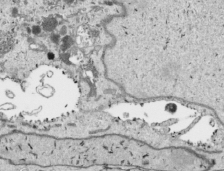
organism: Human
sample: Mitochondria in HCT116 cells